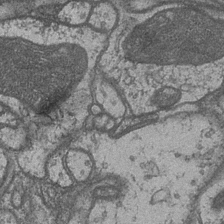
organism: Drosophila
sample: Optic medulla